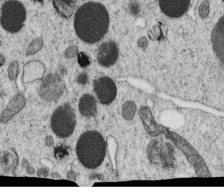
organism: C. elegans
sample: C. elegans oocyte; sperm cells